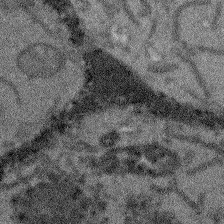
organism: Arabidopsis thaliana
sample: Root tip